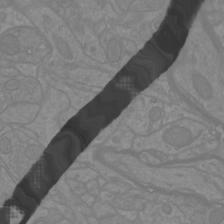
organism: Mouse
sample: Cortical neurons